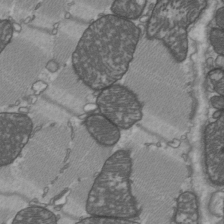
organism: C57BL Mouse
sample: Heart